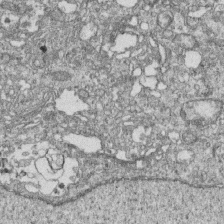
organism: Human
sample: HeLa cell HIV synapse